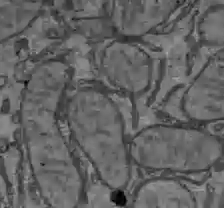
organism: C57BL Mouse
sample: Liver